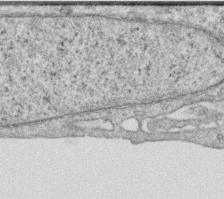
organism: Human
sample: Centriole in RPE cells